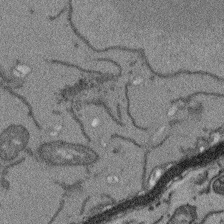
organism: Arabidopsis thaliana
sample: Root tip